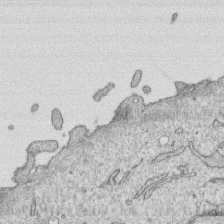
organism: Human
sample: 1205lu cells